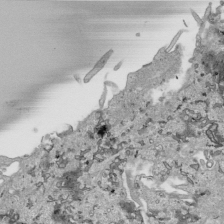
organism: Human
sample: Mitochondria in HCT116 cells